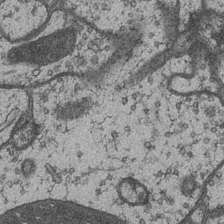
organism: Drosophila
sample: Optic medulla